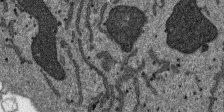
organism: Human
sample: Lung epithelial cells infected with SARS-CoV-2